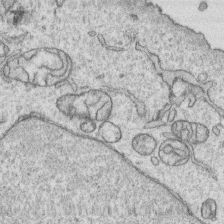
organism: Human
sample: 1205lu cells